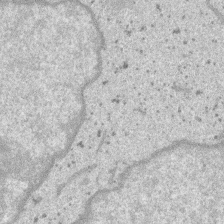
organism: Human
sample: Lung epithelial cells infected with SARS-CoV-2